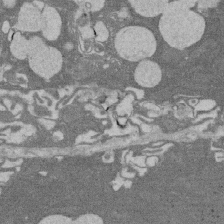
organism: Rat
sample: Salivary granule